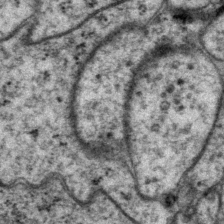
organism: P. pacificus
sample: Pharynx